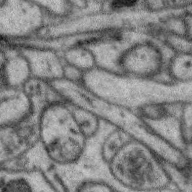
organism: Zebra finch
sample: Brain